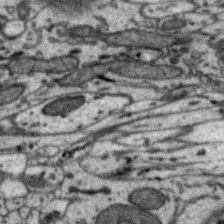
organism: Zebra finch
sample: Brain